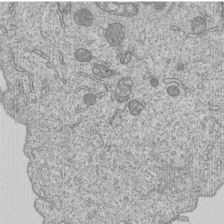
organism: Human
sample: MDA-MB-231 cells